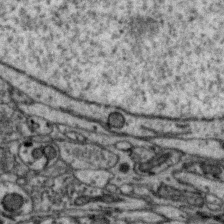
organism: Zebra finch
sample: Brain